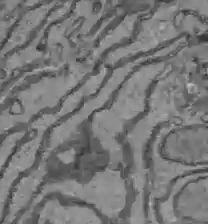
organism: C57BL Mouse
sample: Liver